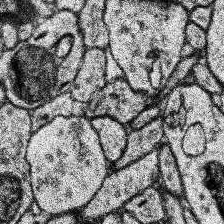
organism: Human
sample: Temporal Lobe